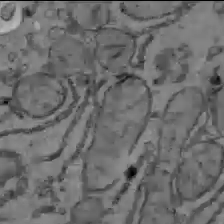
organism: C57BL Mouse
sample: Liver